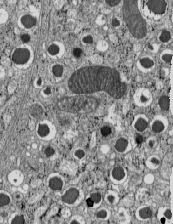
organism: C57BL Mouse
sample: Pancreatic islet